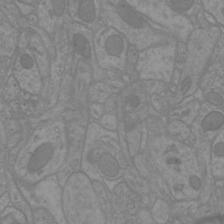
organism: Mouse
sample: Cortical neurons